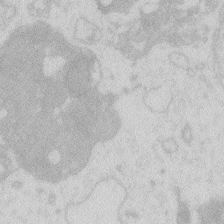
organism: Zebrafish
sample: Macrophage